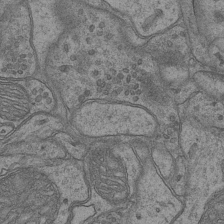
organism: Mouse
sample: CA1 Hippocampus